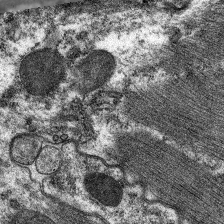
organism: C. elegans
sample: Pharynx